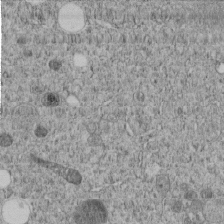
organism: C. elegans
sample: C. elegans embryo early stage